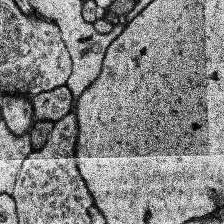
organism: Human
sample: Temporal Lobe